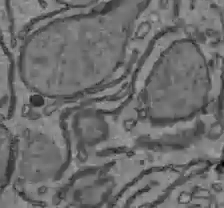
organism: C57BL Mouse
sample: Liver